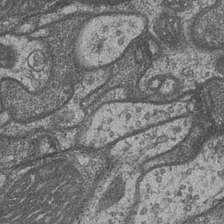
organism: Drosophila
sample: Optic medulla